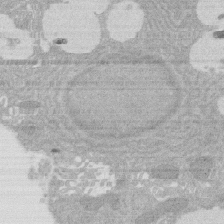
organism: Rat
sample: Salivary granule